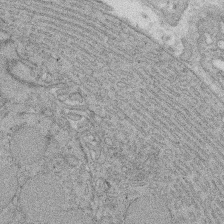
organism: Rat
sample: Salivary granule